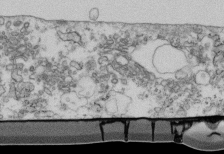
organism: Mouse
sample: Cilia; retinal pigment epithelium